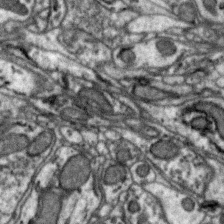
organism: Zebra finch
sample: Brain